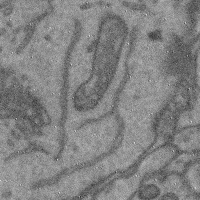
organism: Mouse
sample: Cerebral cortex